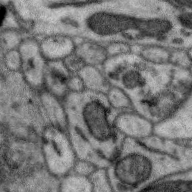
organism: Zebra finch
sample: Brain